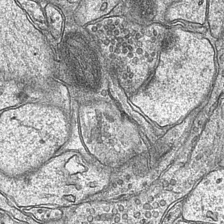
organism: Mouse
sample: CA1 Hippocampus